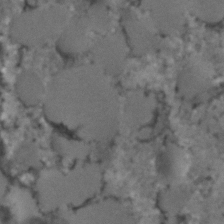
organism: C. elegans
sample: C. elegans embryo